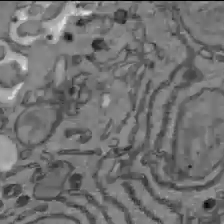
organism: C57BL Mouse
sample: Liver